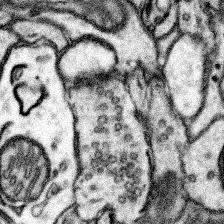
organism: Mouse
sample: Somatosensory cortex neuropil